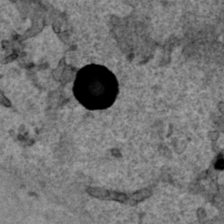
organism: Human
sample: Mitochondria in HCT116 cells